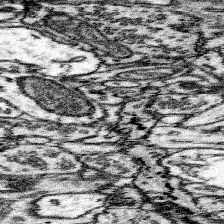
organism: Mouse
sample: Somatosensory cortex neuropil